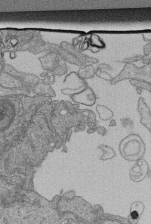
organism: Human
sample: Retinal organoid Rod and Cone cells